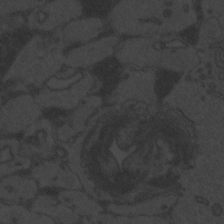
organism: Zebrafish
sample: Macrophage infected with Toxoplasma gondii